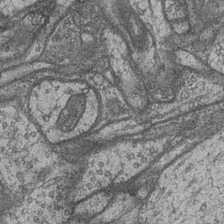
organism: Drosophila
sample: Optic medulla